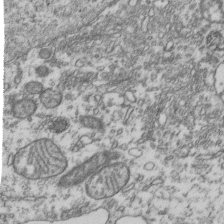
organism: Human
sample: Activated Jurkat CD4+ T cells